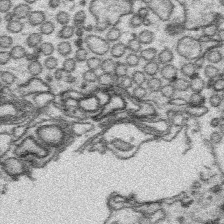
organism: Platynereis dumerilii